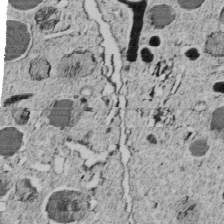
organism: C. elegans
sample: C. elegans embryo early stage